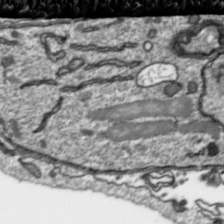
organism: Toxoplasma gondii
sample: Parasites in a vacuole inside a host cell